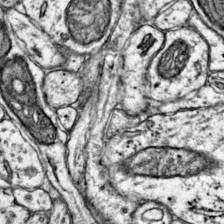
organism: Mouse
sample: Primary visual cortex